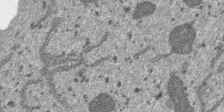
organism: Human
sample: Lung epithelial cells infected with SARS-CoV-2